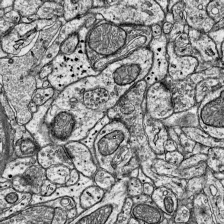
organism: Mouse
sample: Visual Cortex